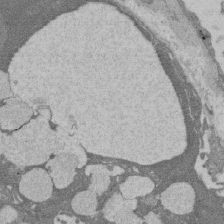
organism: Rat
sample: Salivary granule